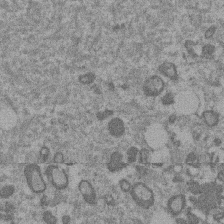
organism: Mouse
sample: Dividing mouse embryo 1 cell stage